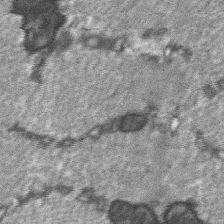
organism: C57BL Mouse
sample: Soleus